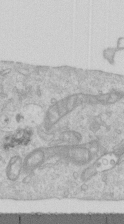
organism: Human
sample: Centriole in RPE cells